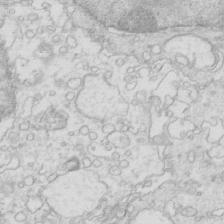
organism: Mouse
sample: Multiciliated cells